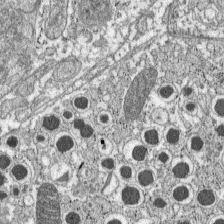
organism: C57BL Mouse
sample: Pancreatic islet